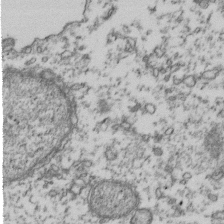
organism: Human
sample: Activated Jurkat CD4+ T cells